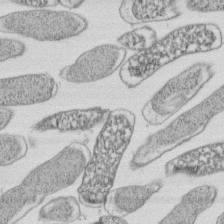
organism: E. coli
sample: Bacterial nucleoid